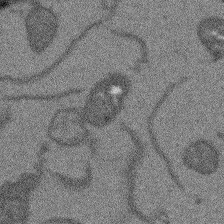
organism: Arabidopsis thaliana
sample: Root tip